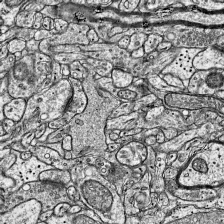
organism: Mouse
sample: Visual Cortex